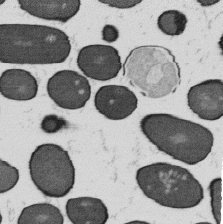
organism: B. subtilis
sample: Bacterial spore